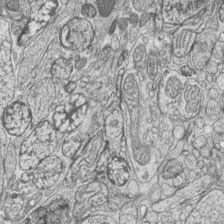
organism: Zebrafish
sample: synaptic ribbons in rod cells and cone cells